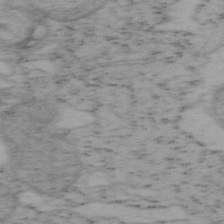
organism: Mouse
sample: OT-I killer T cells with ID8 ovarian cancer cells